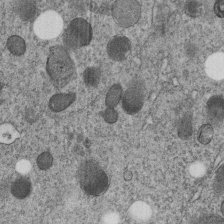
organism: C. elegans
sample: C. elegans embryo early stage